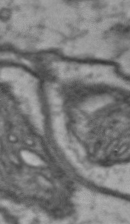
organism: Drosophila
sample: Brain